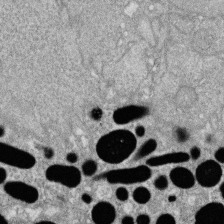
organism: Zebrafish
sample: Cilia; retinal pigment epithelium